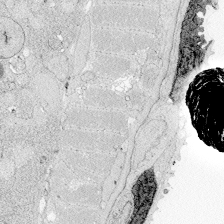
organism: Zebrafish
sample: Whole-Brain